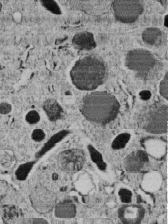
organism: C. elegans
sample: C. elegans embryo early stage